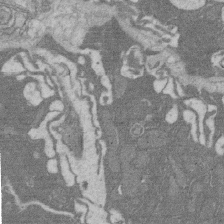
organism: Rat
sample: Salivary granule